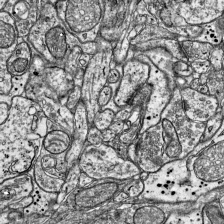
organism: Mouse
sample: Visual Cortex